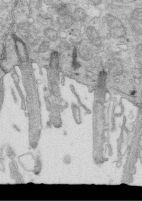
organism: Mouse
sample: Multiciliated cells